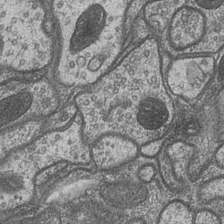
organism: Drosophila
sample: Optic medulla